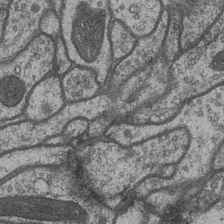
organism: Drosophila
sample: Optic medulla